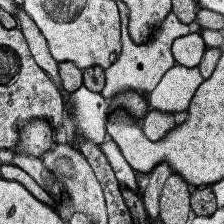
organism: Human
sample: Temporal Lobe